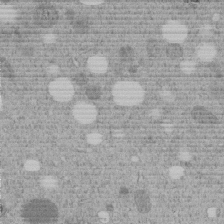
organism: C. elegans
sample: C. elegans embryo early stage